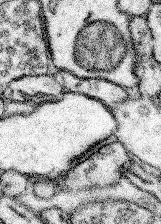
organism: Mouse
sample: Somatosensory cortex neuropil